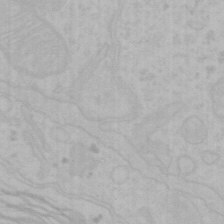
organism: Mouse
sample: Choroid plexus